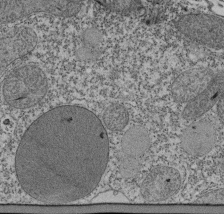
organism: Tetrahymena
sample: Cilia in tetrahymena